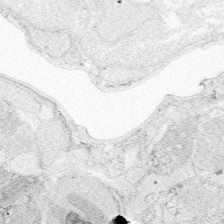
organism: Zebrafish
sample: Whole-Brain